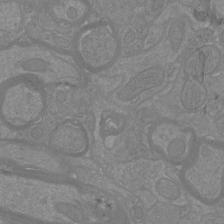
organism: Mouse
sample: Cortical neurons